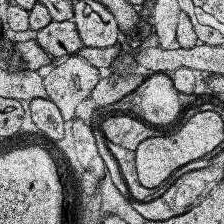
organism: Human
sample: Temporal Lobe